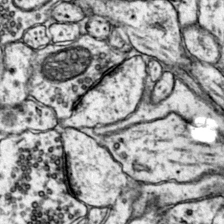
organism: Mouse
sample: Primary visual cortex